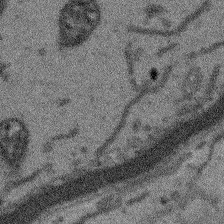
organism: Arabidopsis thaliana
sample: Root tip